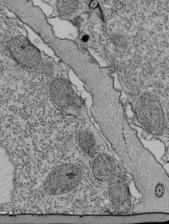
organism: Tetrahymena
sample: Cilia in tetrahymena